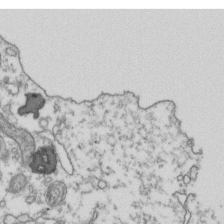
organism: Human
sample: Activated Jurkat CD4+ T cells